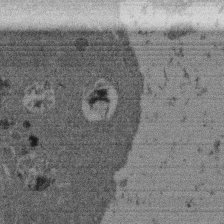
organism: Mouse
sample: Dividing mouse embryo 1 cell stage